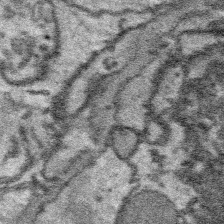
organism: Platynereis dumerilii